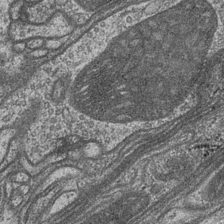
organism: Drosophila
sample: Optic medulla